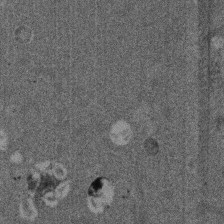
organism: Mouse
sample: Dividing mouse embryo 1 cell stage